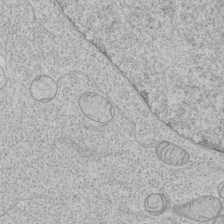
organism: Human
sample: Mitochondria in HCT116 cells